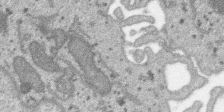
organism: Human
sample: Lung epithelial cells infected with SARS-CoV-2